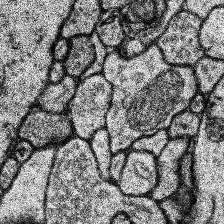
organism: Human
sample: Temporal Lobe